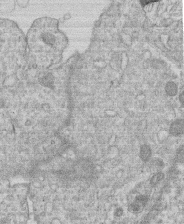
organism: Human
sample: Macrophage cells